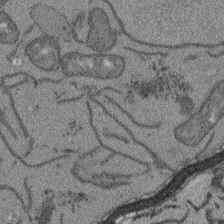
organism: Arabidopsis thaliana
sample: Root tip